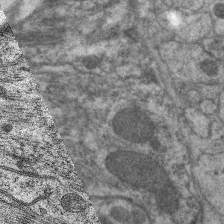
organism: C. elegans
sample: Pharynx